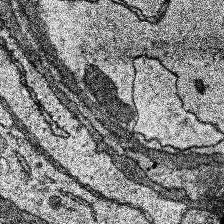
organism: Human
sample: Temporal Lobe